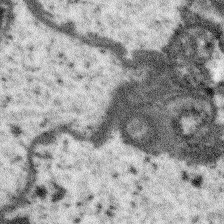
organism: Arabidopsis thaliana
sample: Root tip